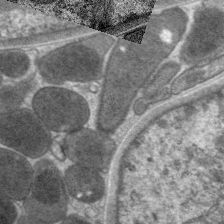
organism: C. elegans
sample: Pharynx